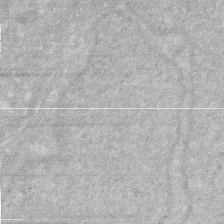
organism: Human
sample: HIV infected U937 cells